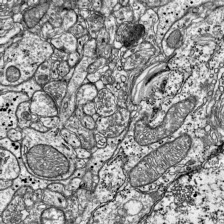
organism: Mouse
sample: Visual Cortex